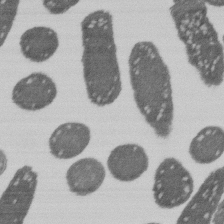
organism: E. coli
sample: Bacterial nucleoid